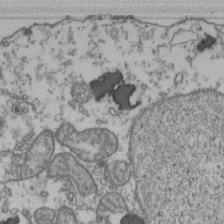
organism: Human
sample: Activated Jurkat CD4+ T cells